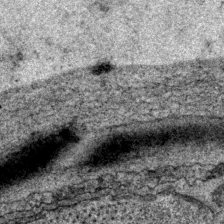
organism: P. pacificus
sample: Pharynx